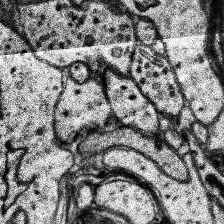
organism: Human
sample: Temporal Lobe